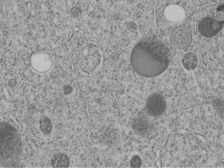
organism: C. elegans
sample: C. elegans embryo early stage